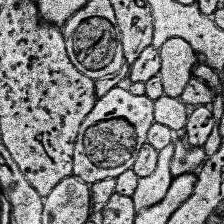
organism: Human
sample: Temporal Lobe